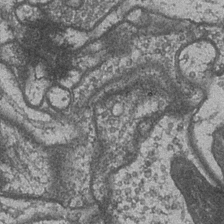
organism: Drosophila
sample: Optic medulla